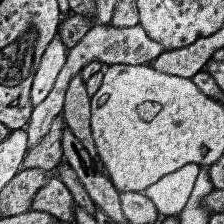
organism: Human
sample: Temporal Lobe